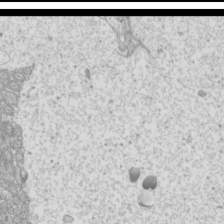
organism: Mouse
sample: Cilia; mouse epididymis